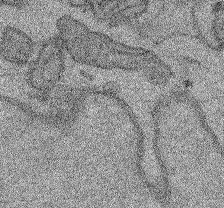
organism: Human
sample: HeLa cells